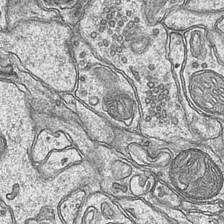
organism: Mouse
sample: CA1 Hippocampus